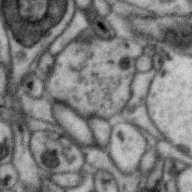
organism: Zebra finch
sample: Brain